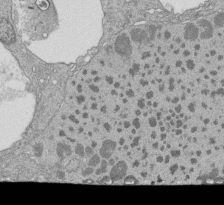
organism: Tetrahymena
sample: Cilia in tetrahymena